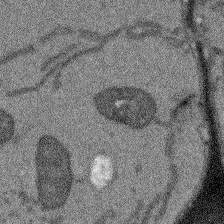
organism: Arabidopsis thaliana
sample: Root tip